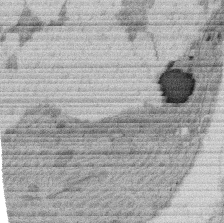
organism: Rat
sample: Salivary granule